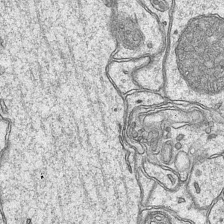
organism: Mouse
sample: CA1 Hippocampus